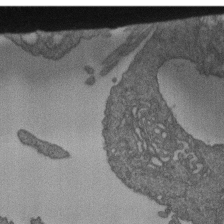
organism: Human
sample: Retinal organoid Rod and Cone cells